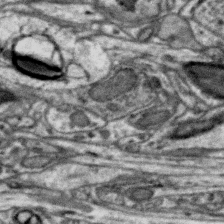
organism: Zebra finch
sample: Brain